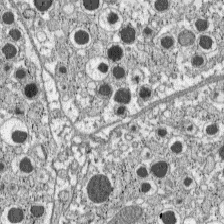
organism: C57BL Mouse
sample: Pancreatic islet